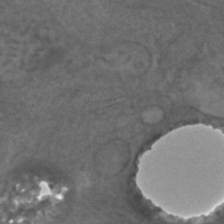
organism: C. elegans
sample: C. elegans embryo